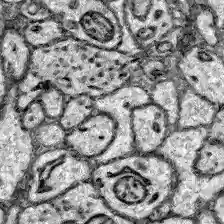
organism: Zebrafish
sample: Brain